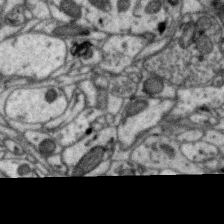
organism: Zebra finch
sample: Brain